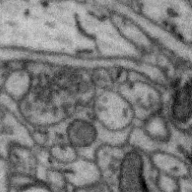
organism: Zebra finch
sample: Brain